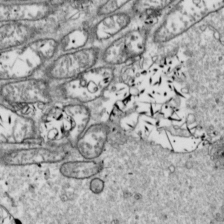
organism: Drosophila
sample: Cell division; meiosis; drosophila spermatocytes